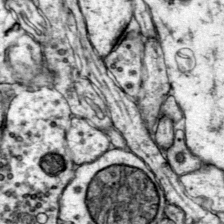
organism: Mouse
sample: Primary visual cortex